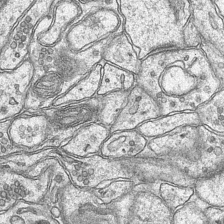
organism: Mouse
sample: CA1 Hippocampus